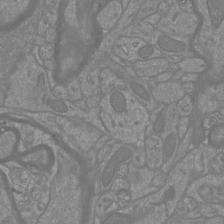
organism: Mouse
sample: Cortical neurons